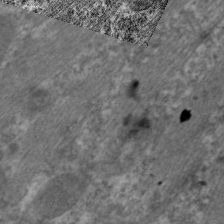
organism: C. elegans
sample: Pharynx